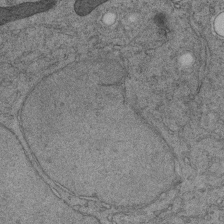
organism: C. elegans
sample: C. elegans embryo early stage